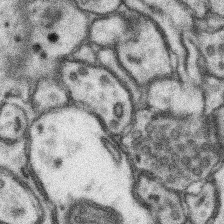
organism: Mouse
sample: Somatosensory cortex neuropil